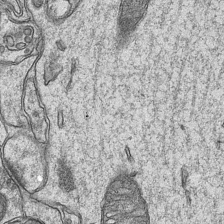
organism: Mouse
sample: CA1 Hippocampus